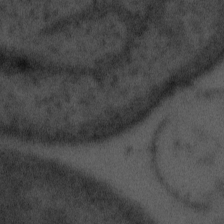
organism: Tuwongella immobilis